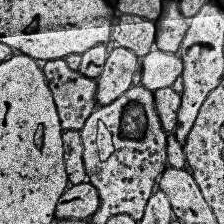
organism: Human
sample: Temporal Lobe